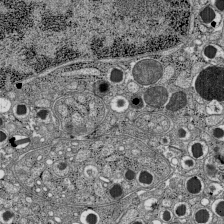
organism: C57BL Mouse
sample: Pancreatic islet